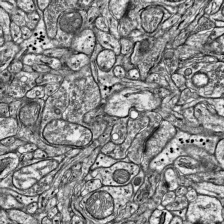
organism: Mouse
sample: Visual Cortex